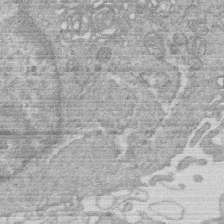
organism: Human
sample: Macrophage cells